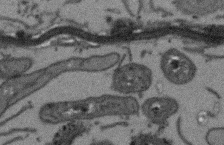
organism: Arabidopsis thaliana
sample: Root tip